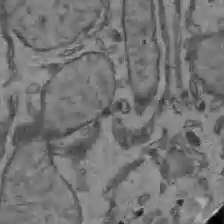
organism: C57BL Mouse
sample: Liver